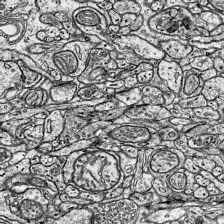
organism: Mouse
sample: Visual Cortex